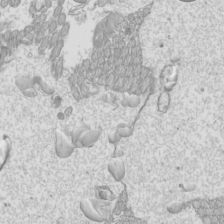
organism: Mouse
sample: Cilia; mouse epididymis